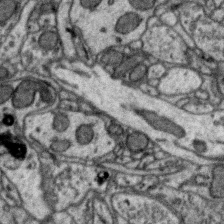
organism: Zebra finch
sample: Brain